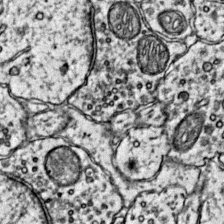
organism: Mouse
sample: Primary visual cortex